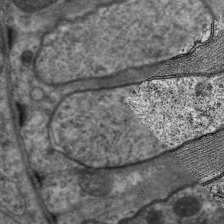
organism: C. elegans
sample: Pharynx